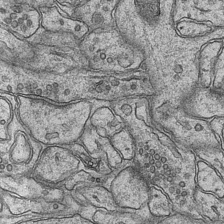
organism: Mouse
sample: CA1 Hippocampus